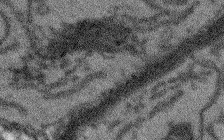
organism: Arabidopsis thaliana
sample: Root tip